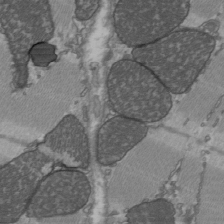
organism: C57BL Mouse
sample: Heart